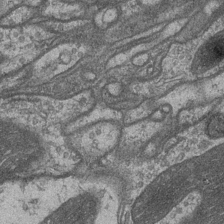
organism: Drosophila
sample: Optic medulla